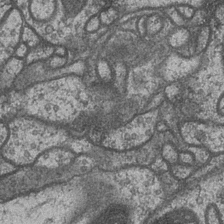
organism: Drosophila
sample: Optic medulla